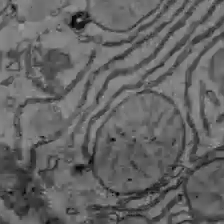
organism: C57BL Mouse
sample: Liver